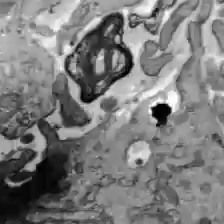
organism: C57BL Mouse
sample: Liver